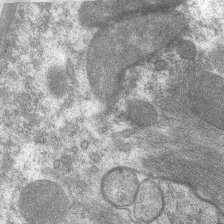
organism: C. elegans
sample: Pharynx